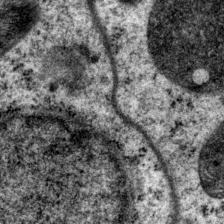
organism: P. pacificus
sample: Pharynx